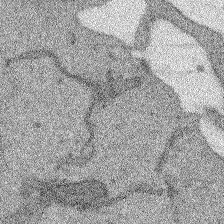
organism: Human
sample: HeLa cells